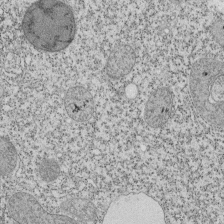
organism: Tetrahymena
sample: Cilia in tetrahymena